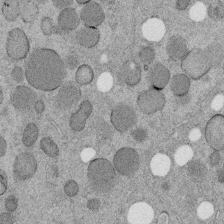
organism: C. elegans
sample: C. elegans embryo early stage